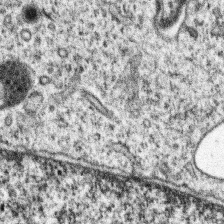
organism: Human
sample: HeLa cells